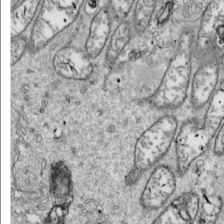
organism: Drosophila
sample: Cell division; meiosis; drosophila spermatocytes